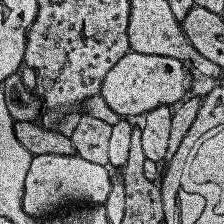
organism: Human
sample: Temporal Lobe